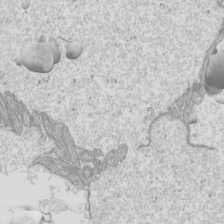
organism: Mouse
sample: Cilia; mouse epididymis